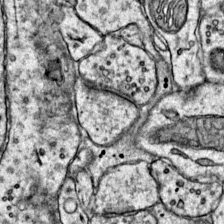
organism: Mouse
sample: Primary visual cortex